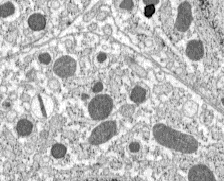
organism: C57BL Mouse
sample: Pancreatic islet